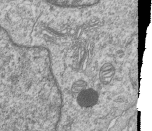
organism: Human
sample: MDA-MB-231 cells